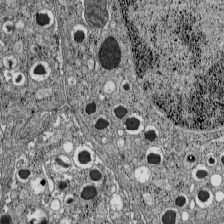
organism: C57BL Mouse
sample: Pancreatic islet